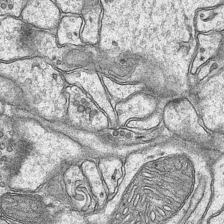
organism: Mouse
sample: CA1 Hippocampus